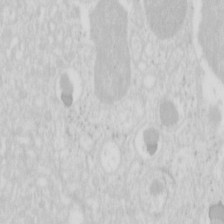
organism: Mouse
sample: Pancreas